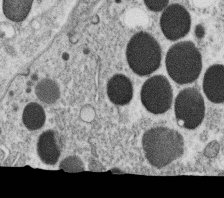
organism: C. elegans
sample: C. elegans oocyte; sperm cells